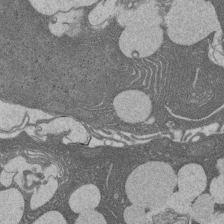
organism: Rat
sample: Salivary granule